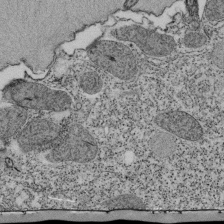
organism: Tetrahymena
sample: Cilia in tetrahymena